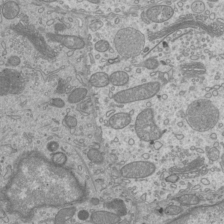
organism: Mouse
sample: Cilia; mouse epididymis